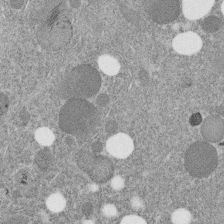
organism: C. elegans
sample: C. elegans embryo early stage